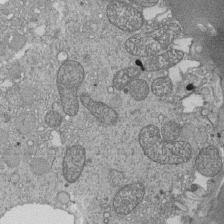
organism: Tetrahymena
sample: Cilia in tetrahymena